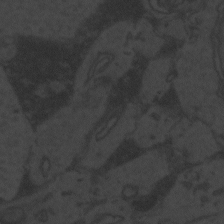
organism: Zebrafish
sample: Macrophage infected with Toxoplasma gondii